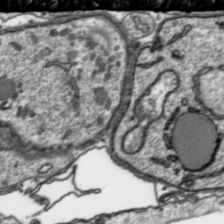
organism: Toxoplasma gondii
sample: Parasites in a vacuole inside a host cell